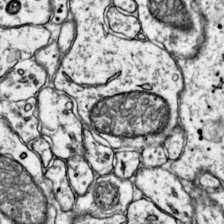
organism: Mouse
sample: Primary visual cortex